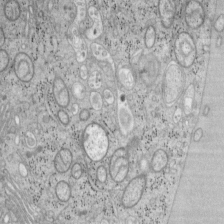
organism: Mouse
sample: OT-I killer T cells with ID8 ovarian cancer cells